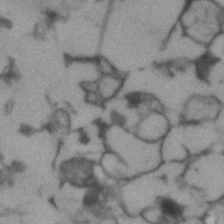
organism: Human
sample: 1205lu cells